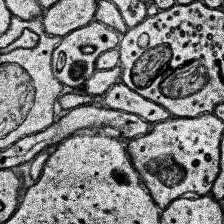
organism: Human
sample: Temporal Lobe